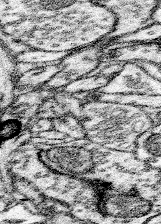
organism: Mouse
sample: Somatosensory cortex neuropil